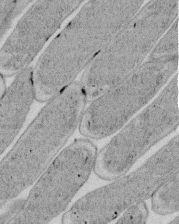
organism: E. coli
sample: Bacterial nucleoid